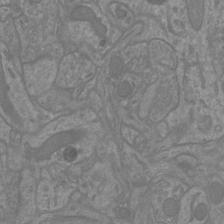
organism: Mouse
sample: Cortical neurons